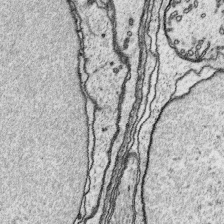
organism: Platynereis dumerilii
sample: Parapodia